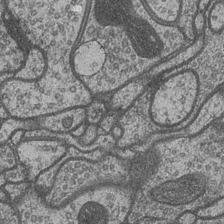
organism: Drosophila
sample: Optic medulla